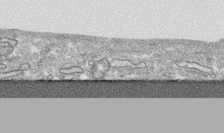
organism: Human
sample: CRL-1474